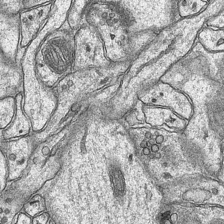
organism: Mouse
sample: CA1 Hippocampus